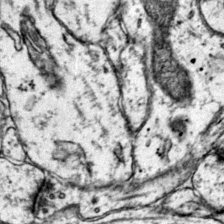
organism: Mouse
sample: Primary visual cortex